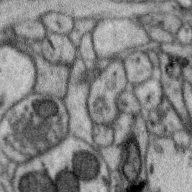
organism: Zebra finch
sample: Brain